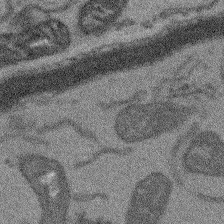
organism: Arabidopsis thaliana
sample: Root tip